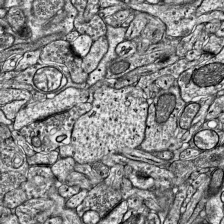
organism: Mouse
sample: Visual Cortex